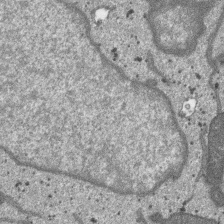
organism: Human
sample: Lung epithelial cells infected with SARS-CoV-2